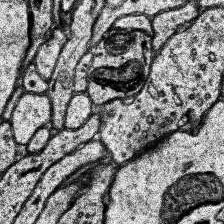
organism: Human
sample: Temporal Lobe